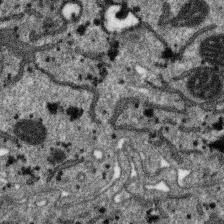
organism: Human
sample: Lung epithelial cells infected with SARS-CoV-2